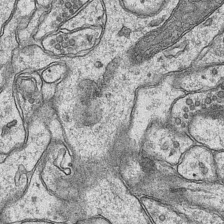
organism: Mouse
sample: CA1 Hippocampus